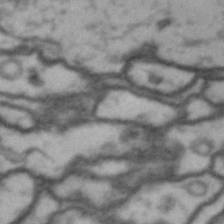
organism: Drosophila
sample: Brain